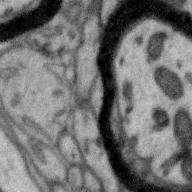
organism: Zebra finch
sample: Brain